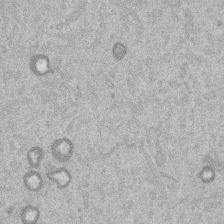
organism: Mouse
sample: Dividing mouse embryo 1 cell stage